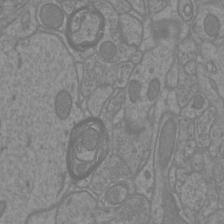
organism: Mouse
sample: Cortical neurons